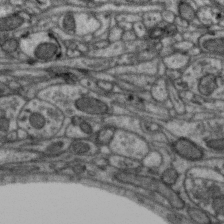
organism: Zebra finch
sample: Brain